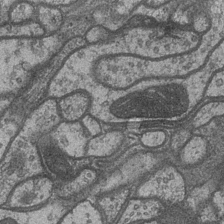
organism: Drosophila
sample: Optic medulla